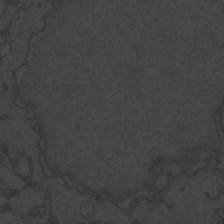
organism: Zebrafish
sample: Macrophage infected with Toxoplasma gondii